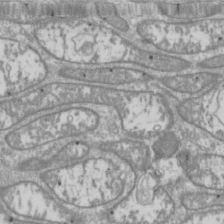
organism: Drosophila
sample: Cell division; meiosis; drosophila spermatocytes